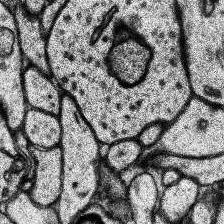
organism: Human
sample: Temporal Lobe